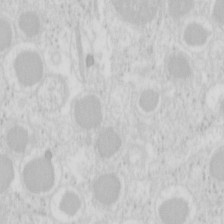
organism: Mouse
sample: Pancreas